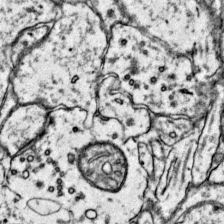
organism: Mouse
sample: Primary visual cortex